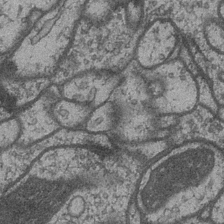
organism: Drosophila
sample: Optic medulla